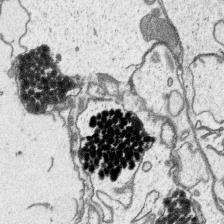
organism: Platynereis dumerilii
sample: Parapodia